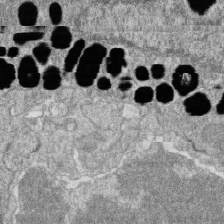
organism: Zebrafish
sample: Cilia; retinal pigment epithelium